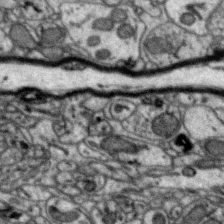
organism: Zebra finch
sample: Brain